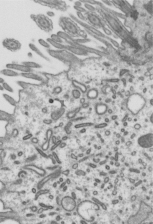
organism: Mouse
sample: Mouse epididymis efferent ductule cilia